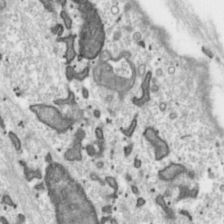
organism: Toxoplasma gondii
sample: Parasites in a vacuole inside a host cell